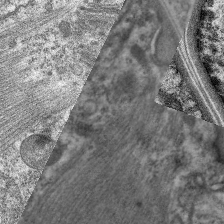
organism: C. elegans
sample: Pharynx